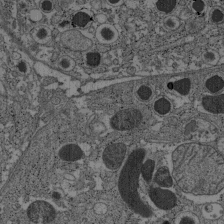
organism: C57BL Mouse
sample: Pancreatic islet